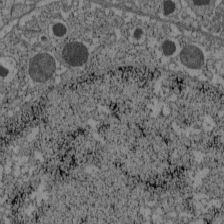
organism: C57BL Mouse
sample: Pancreatic islet